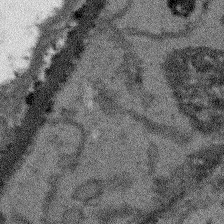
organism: Arabidopsis thaliana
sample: Root tip